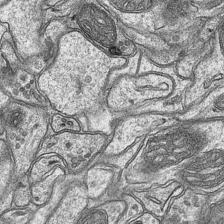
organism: Mouse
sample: CA1 Hippocampus